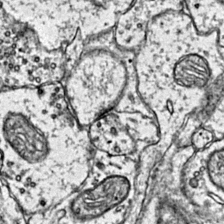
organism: Mouse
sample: Primary visual cortex